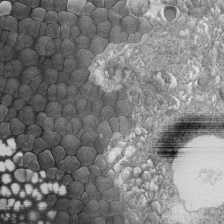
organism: Tetrahymena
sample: Cilia in tetrahymena